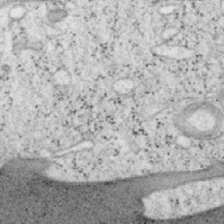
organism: Mouse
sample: OT-I killer T cells with ID8 ovarian cancer cells